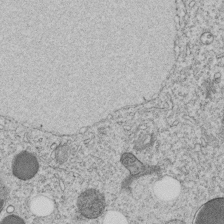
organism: C. elegans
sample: C. elegans embryo early stage